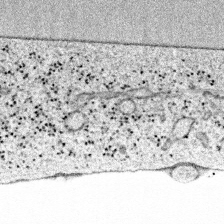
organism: Human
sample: HeLa cells